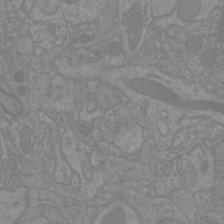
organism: Mouse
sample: Cortical neurons